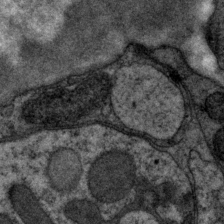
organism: P. pacificus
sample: Pharynx